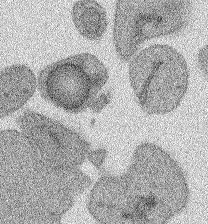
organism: Human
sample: HeLa cells